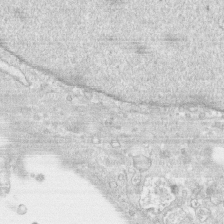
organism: Human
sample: CRL-1474